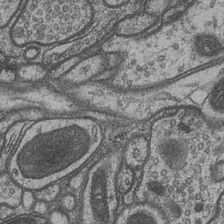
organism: Drosophila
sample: Optic medulla